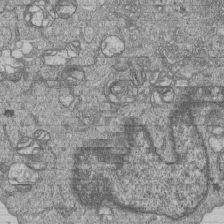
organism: Human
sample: MDA-MB-231 cells